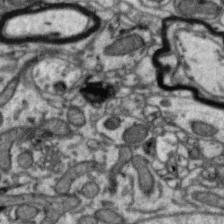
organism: Zebra finch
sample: Brain